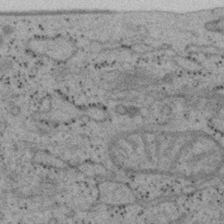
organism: Human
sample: HeLa cells